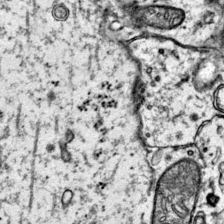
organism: Mouse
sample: Primary visual cortex